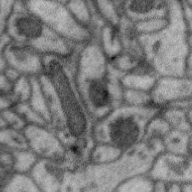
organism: Zebra finch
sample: Brain